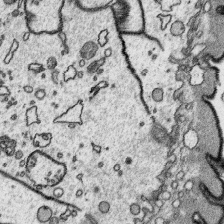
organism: Platynereis dumerilii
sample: Parapodia